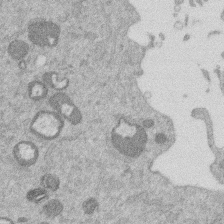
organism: Mouse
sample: Dividing mouse embryo 1 cell stage